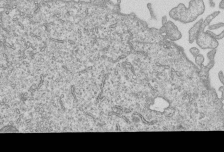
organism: Human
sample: MDA-MB-231 cells